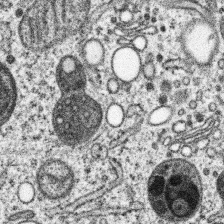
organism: Human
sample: HeLa cells